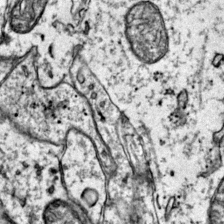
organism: Mouse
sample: Primary visual cortex